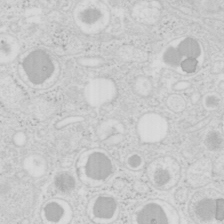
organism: Mouse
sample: Pancreas